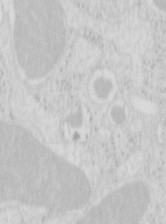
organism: Mouse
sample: Pancreas